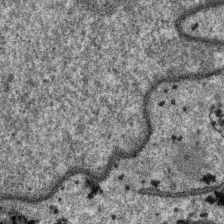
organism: Human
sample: Lung epithelial cells infected with SARS-CoV-2